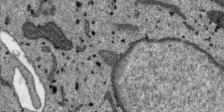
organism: Human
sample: Lung epithelial cells, uninfected (mock) control